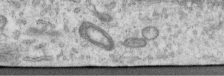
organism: Human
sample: Centriole in RPE cells